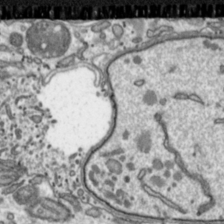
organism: Toxoplasma gondii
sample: Parasites in a vacuole inside a host cell